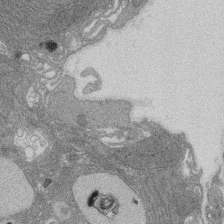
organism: Rat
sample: Salivary granule